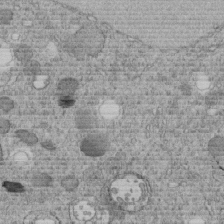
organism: C. elegans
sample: C. elegans embryo early stage